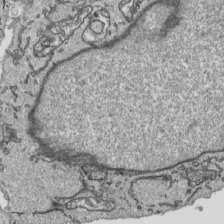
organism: Human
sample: Mitochondria in HCT116 cells